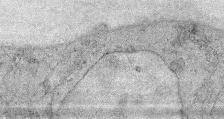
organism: Mouse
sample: Corneal nerves